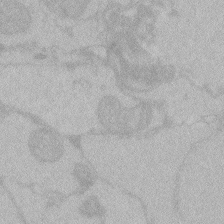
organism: Zebrafish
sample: Macrophage infected with Toxoplasma gondii